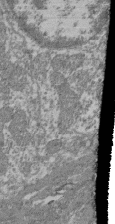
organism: Mouse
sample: Glomerulus